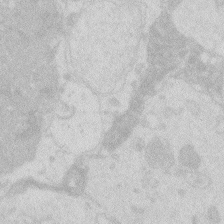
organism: Zebrafish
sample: Macrophage